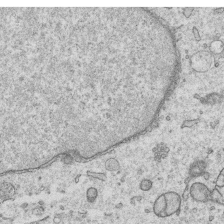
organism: Human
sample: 1205lu cells